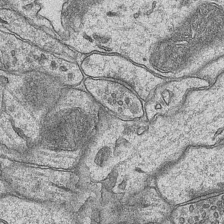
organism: Mouse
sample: CA1 Hippocampus